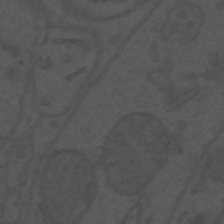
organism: Mouse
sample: Suprachiasmatic nucleus